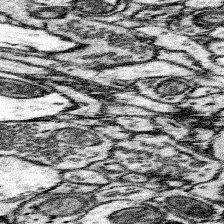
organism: Mouse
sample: Somatosensory cortex neuropil